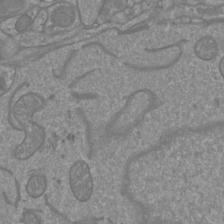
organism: Mouse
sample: Cortical neurons